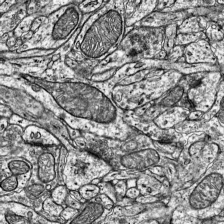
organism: Mouse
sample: Visual Cortex